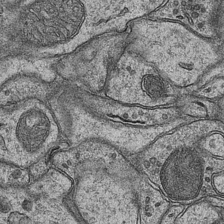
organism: Mouse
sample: CA1 Hippocampus